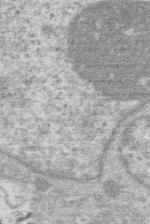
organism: Human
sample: Macrophage cells